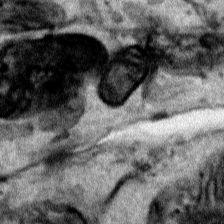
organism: Human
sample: Mitochondria in HCT116 cells